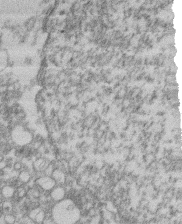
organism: Mouse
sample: T cell stromal cell synapse